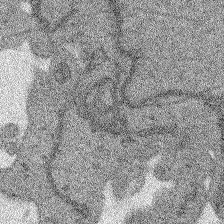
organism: Human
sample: HeLa cells